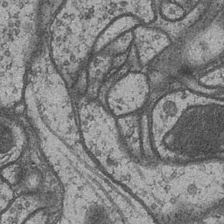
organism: Drosophila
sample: Optic medulla